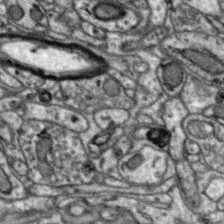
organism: Zebra finch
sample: Brain